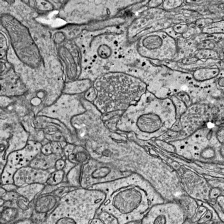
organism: Mouse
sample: Visual Cortex